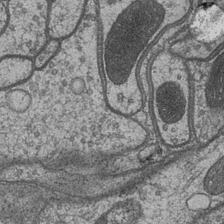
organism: Drosophila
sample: Optic medulla